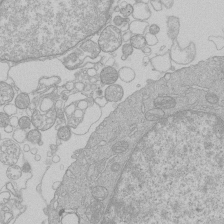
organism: Human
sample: Macrophage cells